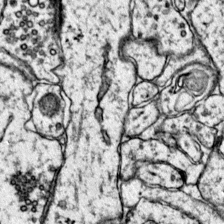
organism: Mouse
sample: Primary visual cortex